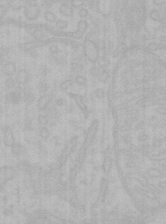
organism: Mouse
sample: Choroid plexus